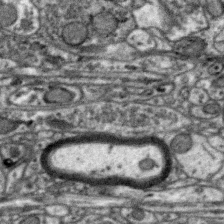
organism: Zebra finch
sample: Brain